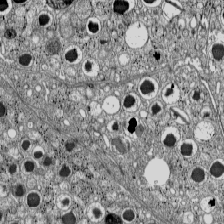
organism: C57BL Mouse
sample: Pancreatic islet